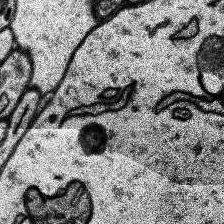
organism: Human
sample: Temporal Lobe